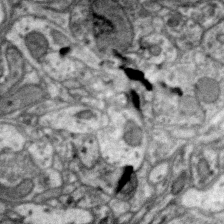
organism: Zebra finch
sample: Brain